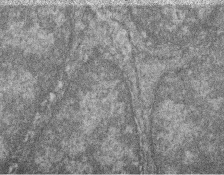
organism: Zebrafish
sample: Cilia; retinal pigment epithelium